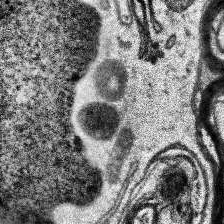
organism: Human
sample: Temporal Lobe